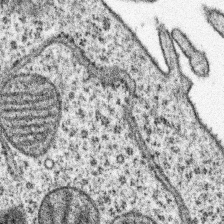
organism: Human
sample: HeLa cells